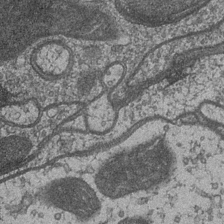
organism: Drosophila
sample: Optic medulla